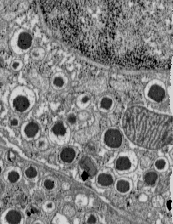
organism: C57BL Mouse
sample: Pancreatic islet